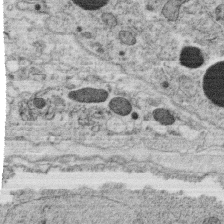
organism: C. elegans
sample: C. elegans oocyte; sperm cells